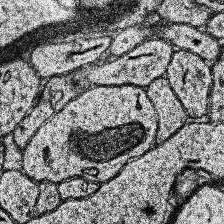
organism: Human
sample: Temporal Lobe